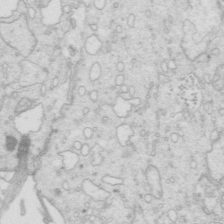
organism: Mouse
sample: Multiciliated cells